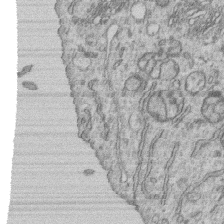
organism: Human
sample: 1205lu cells